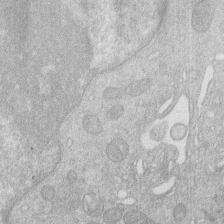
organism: Human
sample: Macrophage cells